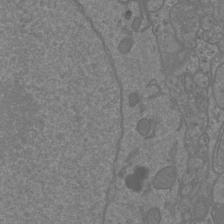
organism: Mouse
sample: Cortical neurons